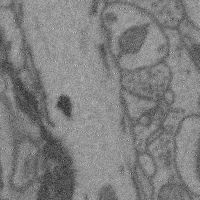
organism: Mouse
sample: Cerebral cortex